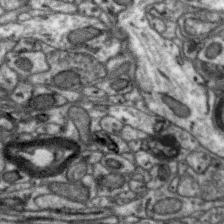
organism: Zebra finch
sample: Brain